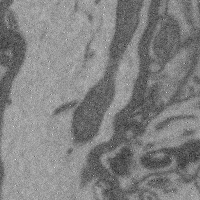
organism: Mouse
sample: Cerebral cortex